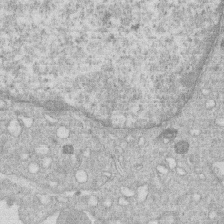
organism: Human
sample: Macrophage cells